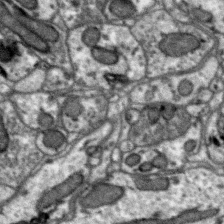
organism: Zebra finch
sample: Brain